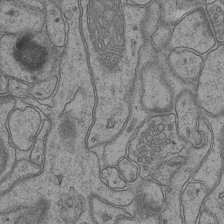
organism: Mouse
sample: CA1 Hippocampus